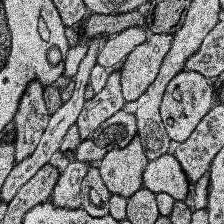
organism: Human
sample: Temporal Lobe